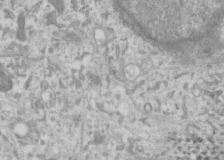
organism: Human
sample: Cilia; basal body in RPE cells